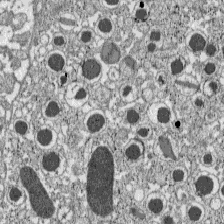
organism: C57BL Mouse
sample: Pancreatic islet